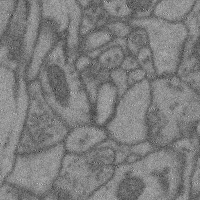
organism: Mouse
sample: Cerebral cortex